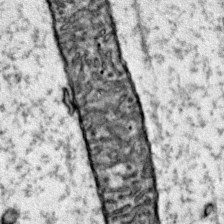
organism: Mouse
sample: Primary visual cortex